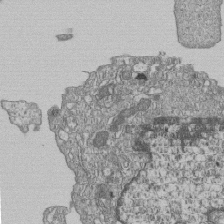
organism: Human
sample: MDA-MB-231 cells